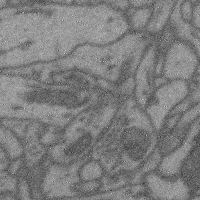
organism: Mouse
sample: Cerebral cortex